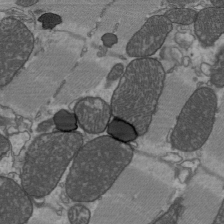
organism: C57BL Mouse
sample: Heart